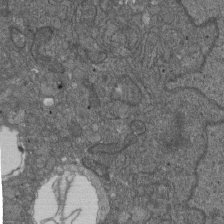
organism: Drosophila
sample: Nephrocyte